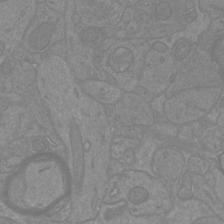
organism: Mouse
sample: Cortical neurons